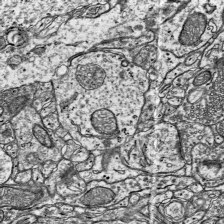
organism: Mouse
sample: Visual Cortex